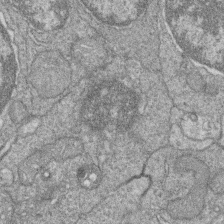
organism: Zebrafish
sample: Cilia; retinal pigment epithelium